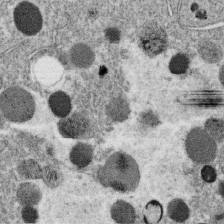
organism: C. elegans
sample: C. elegans oocyte; sperm cells